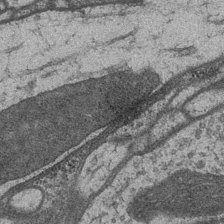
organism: Drosophila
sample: Optic medulla